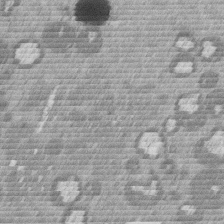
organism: Mouse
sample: Dividing mouse embryo 1 cell stage